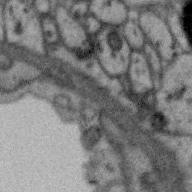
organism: Zebra finch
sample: Brain